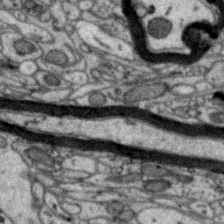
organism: Zebra finch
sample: Brain